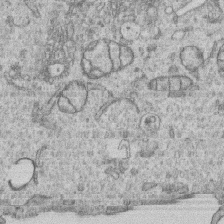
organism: Human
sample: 1205lu cells